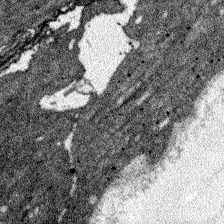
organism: Zebrafish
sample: Larval olfactory bulb